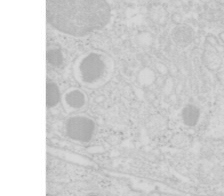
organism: Mouse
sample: Pancreas